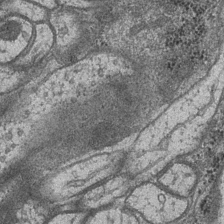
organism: Drosophila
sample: Optic medulla